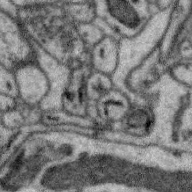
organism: Zebra finch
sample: Brain